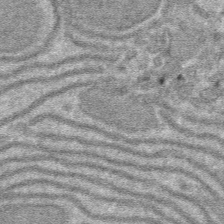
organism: Mouse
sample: Mouse hepatocytes